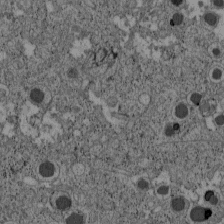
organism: C57BL Mouse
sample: Pancreatic islet